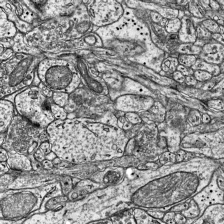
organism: Mouse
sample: Visual Cortex